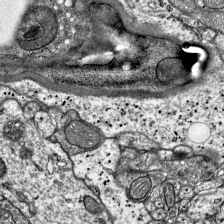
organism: Mouse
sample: Visual Cortex